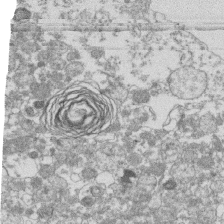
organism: Human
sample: HeLa cell HIV synapse